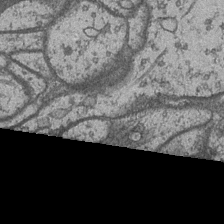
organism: Drosophila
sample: Optic medulla